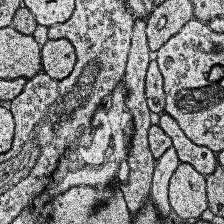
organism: Human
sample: Temporal Lobe